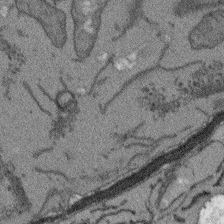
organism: Arabidopsis thaliana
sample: Root tip